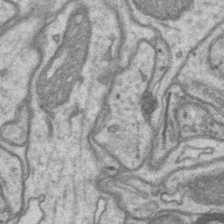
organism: Mouse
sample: CA1 Hippocampus